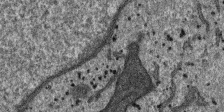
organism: Human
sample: Lung epithelial cells infected with SARS-CoV-2